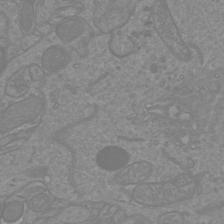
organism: Mouse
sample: Cortical neurons